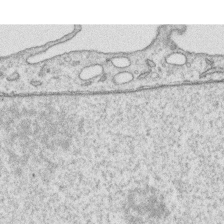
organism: Human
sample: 1205lu cells